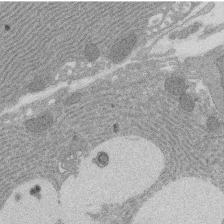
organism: Rat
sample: Salivary granule